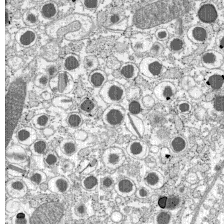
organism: C57BL Mouse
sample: Pancreatic islet